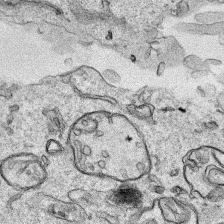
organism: Human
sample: Mitochondria in HCT116 cells